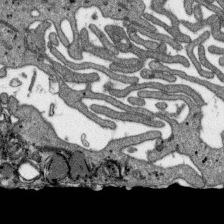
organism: Human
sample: Lung epithelial cells, uninfected (mock) control